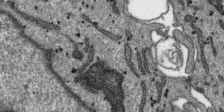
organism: Human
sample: Lung epithelial cells, uninfected (mock) control